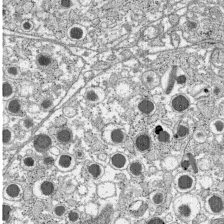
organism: C57BL Mouse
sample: Pancreatic islet